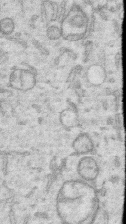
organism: Human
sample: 1205lu cells